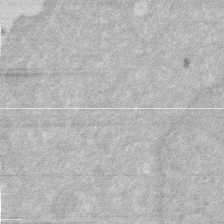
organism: Human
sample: HIV infected U937 cells